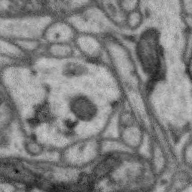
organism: Zebra finch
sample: Brain